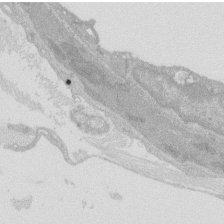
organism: Rat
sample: Salivary granule